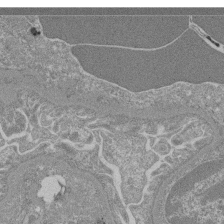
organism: Mouse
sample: Glomerulus